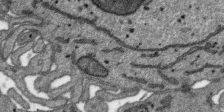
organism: Human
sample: Lung epithelial cells, uninfected (mock) control